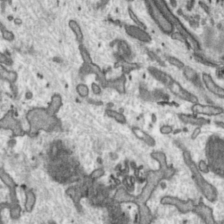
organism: Toxoplasma gondii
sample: Parasites in a vacuole inside a host cell